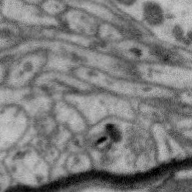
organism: Zebra finch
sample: Brain